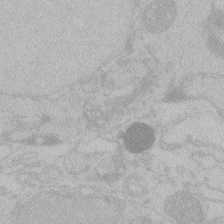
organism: Zebrafish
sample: Macrophage infected with Toxoplasma gondii